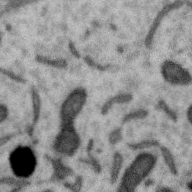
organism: Zebra finch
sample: Brain